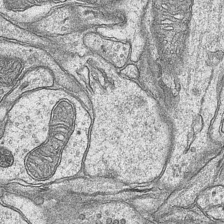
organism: Mouse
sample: CA1 Hippocampus